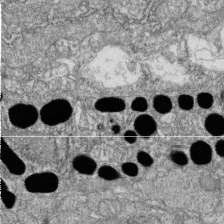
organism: Zebrafish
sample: Cilia; retinal pigment epithelium